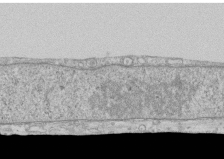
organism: Human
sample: CRL-1474